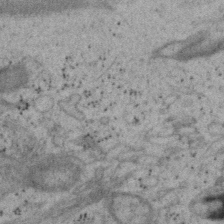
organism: Human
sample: HeLa cells